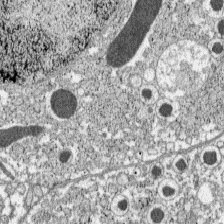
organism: C57BL Mouse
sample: Pancreatic islet